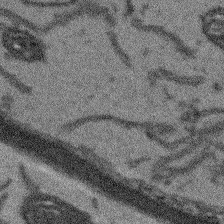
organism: Arabidopsis thaliana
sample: Root tip